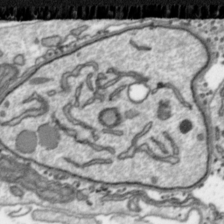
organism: Toxoplasma gondii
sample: Parasites in a vacuole inside a host cell